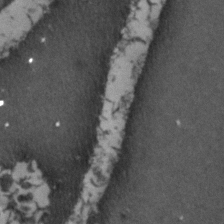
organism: Zebrafish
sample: Zebrafish embryo